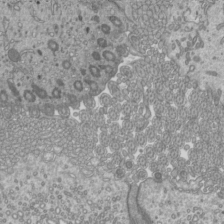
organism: Mouse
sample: Cilia; mouse epididymis